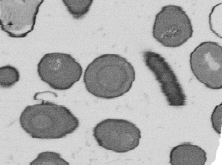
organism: B. subtilis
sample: Bacterial spore